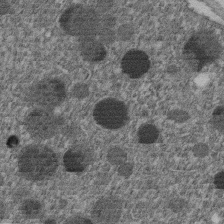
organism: C. elegans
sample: C. elegans embryo early stage